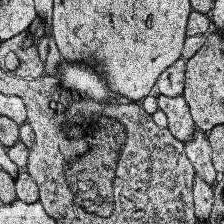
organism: Human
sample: Temporal Lobe